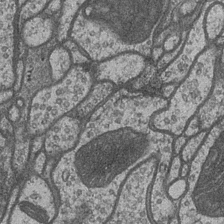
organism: Drosophila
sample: Optic medulla